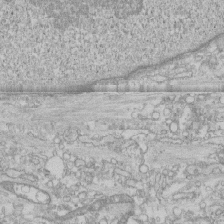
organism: Human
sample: CRL-1474